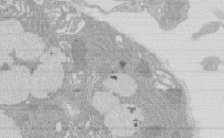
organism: Rat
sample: Salivary granule